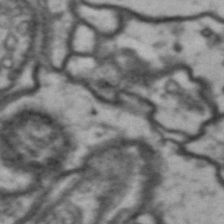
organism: Drosophila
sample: Brain